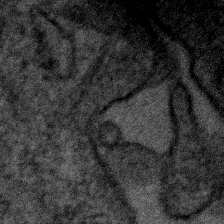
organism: Human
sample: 1205lu cells